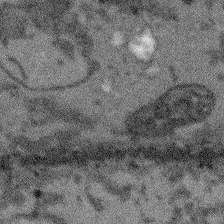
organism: Arabidopsis thaliana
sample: Root tip